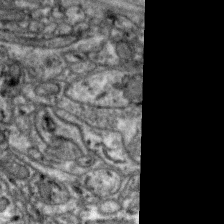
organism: Zebra finch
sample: Brain